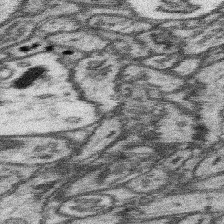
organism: Mouse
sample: Somatosensory cortex neuropil